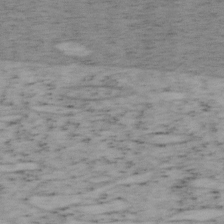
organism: Mouse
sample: OT-I killer T cells with ID8 ovarian cancer cells